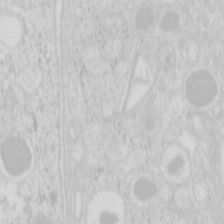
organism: Mouse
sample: Pancreas